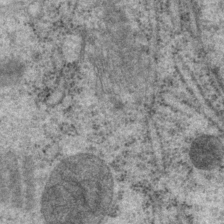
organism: P. pacificus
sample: Pharynx